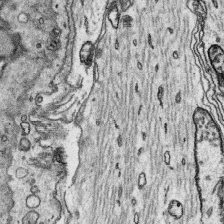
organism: Platynereis dumerilii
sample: Parapodia